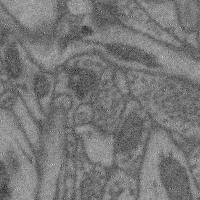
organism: Mouse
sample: Cerebral cortex